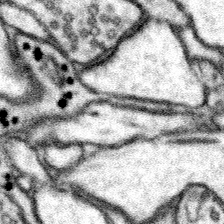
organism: Mouse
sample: Somatosensory cortex neuropil